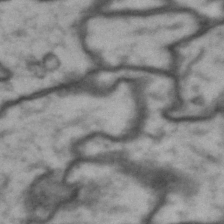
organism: Drosophila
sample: Brain